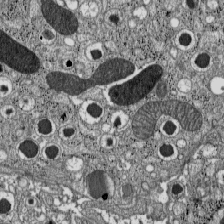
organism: C57BL Mouse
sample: Pancreatic islet